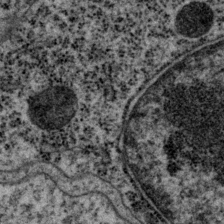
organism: P. pacificus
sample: Pharynx